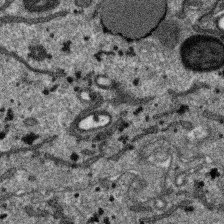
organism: Human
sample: Lung epithelial cells infected with SARS-CoV-2